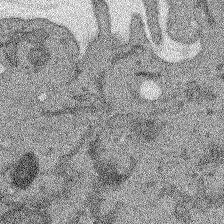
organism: Human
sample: HeLa cells